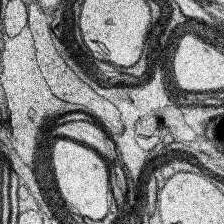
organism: Human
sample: Temporal Lobe